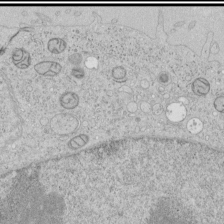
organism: Human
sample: Mitochondria in HCT116 cells